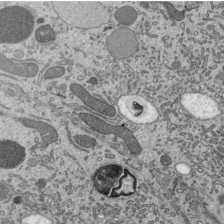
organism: Mouse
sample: Mouse epididymis efferent ductule cilia